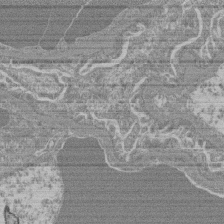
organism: Mouse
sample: Glomerulus